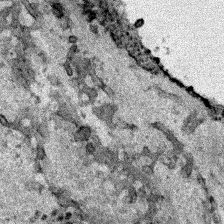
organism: Human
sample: Mitochondria in HCT116 cells